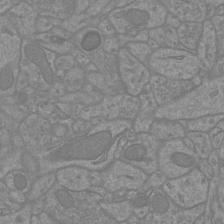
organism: Mouse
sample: Cortical neurons